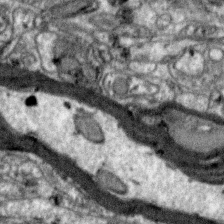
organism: Zebra finch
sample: Brain